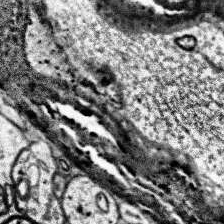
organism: Human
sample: Temporal Lobe